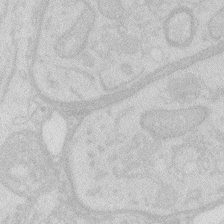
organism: Zebrafish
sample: Macrophage